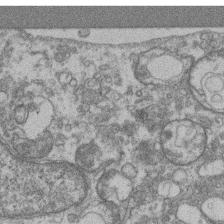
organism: Mouse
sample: T cell stromal cell synapse